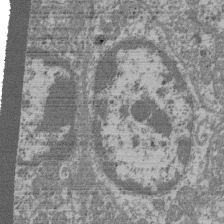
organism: Mouse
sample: Glomerulus